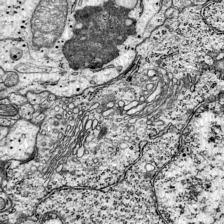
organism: Mouse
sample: Visual Cortex